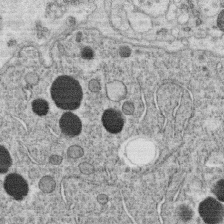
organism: C. elegans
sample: C. elegans oocyte; sperm cells